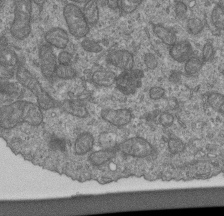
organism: Human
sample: Retinal organoid Rod and Cone cells